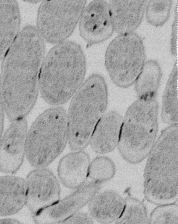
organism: E. coli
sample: Bacterial nucleoid